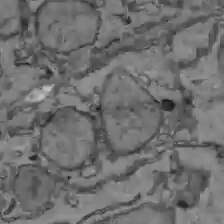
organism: C57BL Mouse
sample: Liver